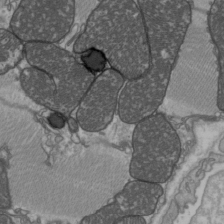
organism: C57BL Mouse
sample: Heart